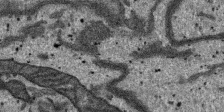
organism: Human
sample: Lung epithelial cells, uninfected (mock) control